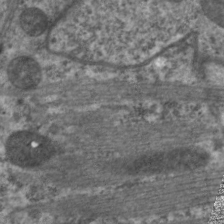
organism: C. elegans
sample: Pharynx